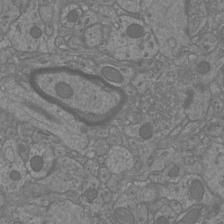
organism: Mouse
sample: Cortical neurons